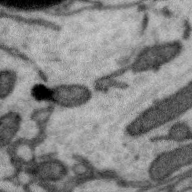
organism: Zebra finch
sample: Brain